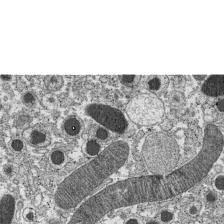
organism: C57BL Mouse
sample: Pancreatic islet